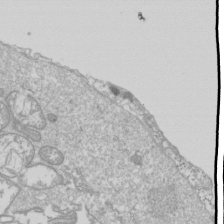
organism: Drosophila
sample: Cell division; meiosis; drosophila spermatocytes